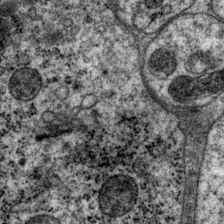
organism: P. pacificus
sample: Pharynx